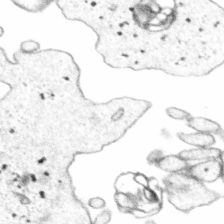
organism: Human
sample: HeLa cells